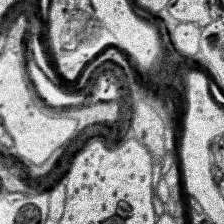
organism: Human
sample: Temporal Lobe